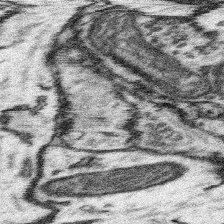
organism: Mouse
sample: Somatosensory cortex neuropil